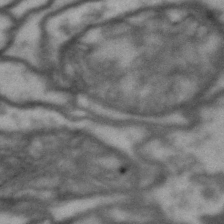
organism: Drosophila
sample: Brain